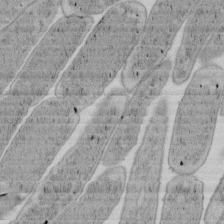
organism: E. coli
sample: Bacterial nucleoid